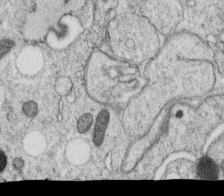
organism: C. elegans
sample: C. elegans oocyte; sperm cells